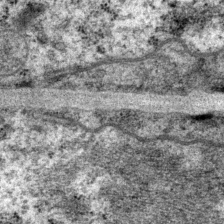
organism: P. pacificus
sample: Pharynx